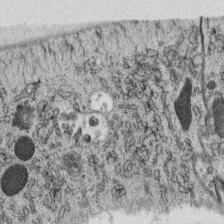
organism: C. elegans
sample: C. elegans oocyte; sperm cells